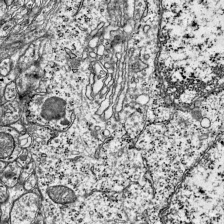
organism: Mouse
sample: Visual Cortex